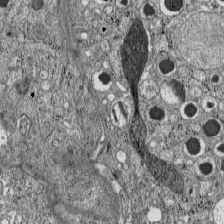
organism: C57BL Mouse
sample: Pancreatic islet